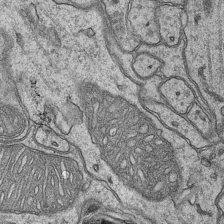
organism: Mouse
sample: CA1 Hippocampus